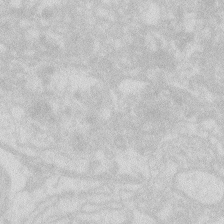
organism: Zebrafish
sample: Macrophage